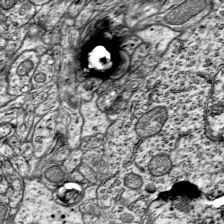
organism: Mouse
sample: Visual Cortex